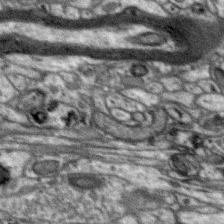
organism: Zebra finch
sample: Brain